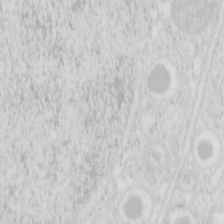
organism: Mouse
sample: Pancreas